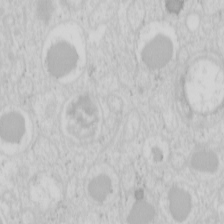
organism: Mouse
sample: Pancreas